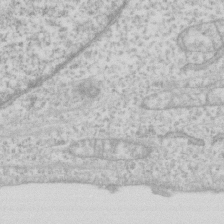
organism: Human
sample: Fibroblast cells